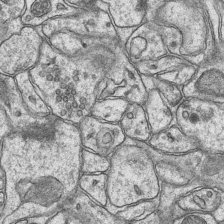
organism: Mouse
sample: CA1 Hippocampus